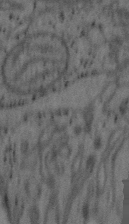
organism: Human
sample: HeLa cells